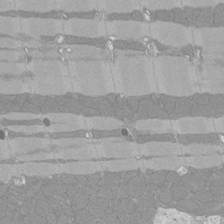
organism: Rat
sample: Left ventricle